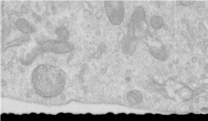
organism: Human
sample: Centriole in RPE cells